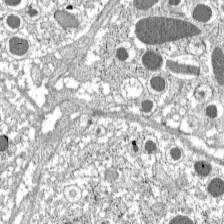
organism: C57BL Mouse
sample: Pancreatic islet